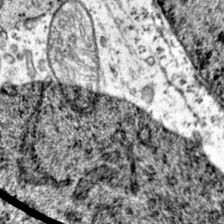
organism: Mouse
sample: Primary visual cortex